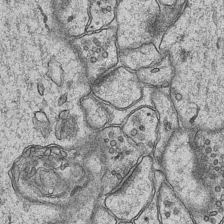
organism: Mouse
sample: CA1 Hippocampus